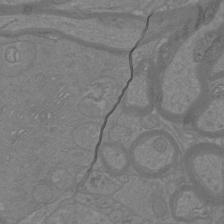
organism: Mouse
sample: Cortical neurons